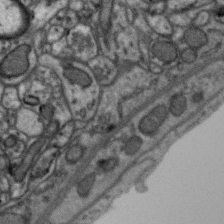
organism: Zebra finch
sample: Brain